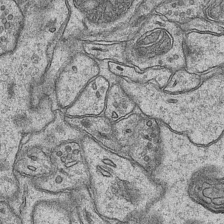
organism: Mouse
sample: CA1 Hippocampus